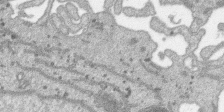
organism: Human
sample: Lung epithelial cells infected with SARS-CoV-2